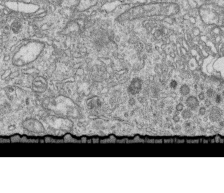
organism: Human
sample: HeLa cell HIV synapse